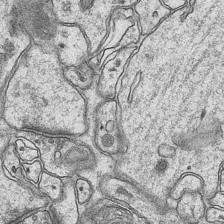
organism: Mouse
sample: CA1 Hippocampus